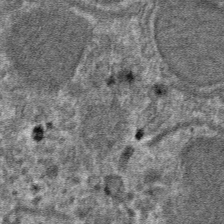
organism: Mouse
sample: Mouse hepatocytes